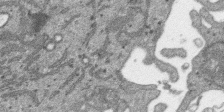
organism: Human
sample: Lung epithelial cells infected with SARS-CoV-2